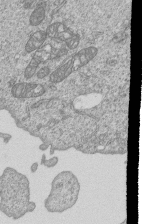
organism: Human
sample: MDA-MB-231 cells